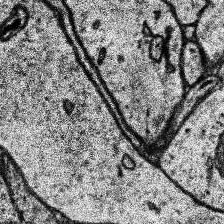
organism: Human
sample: Temporal Lobe